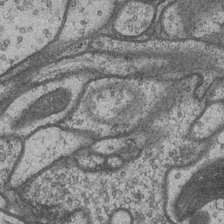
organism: Drosophila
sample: Optic medulla